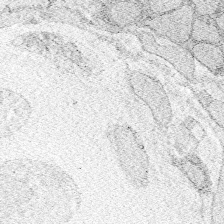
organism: Zebrafish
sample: Whole-Brain